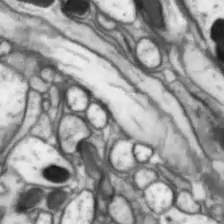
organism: Drosophila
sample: Optic lobe